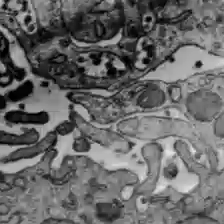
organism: C57BL Mouse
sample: Liver